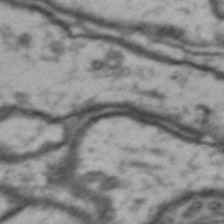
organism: Drosophila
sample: Brain